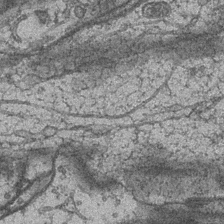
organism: Drosophila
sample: Optic medulla